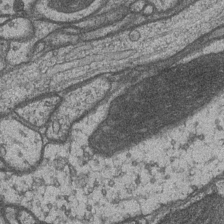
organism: Drosophila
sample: Optic medulla